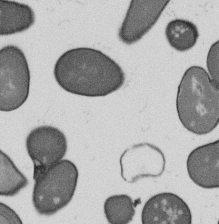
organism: B. subtilis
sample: Bacterial spore